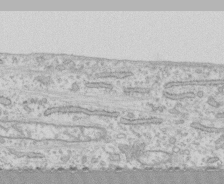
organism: Human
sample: CRL-1474